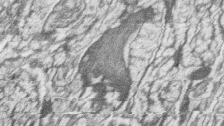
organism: Zebrafish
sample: synaptic ribbons in rod cells and cone cells